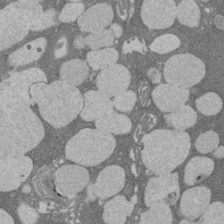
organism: Rat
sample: Salivary granule